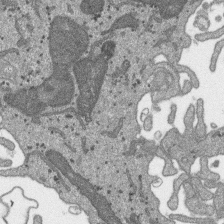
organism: Human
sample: Lung epithelial cells infected with SARS-CoV-2